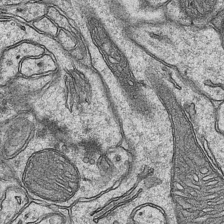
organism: Mouse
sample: CA1 Hippocampus